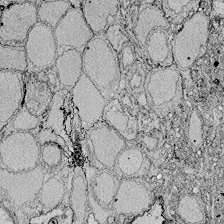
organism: Zebrafish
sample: Whole-Brain